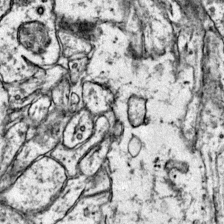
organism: Mouse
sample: Primary visual cortex